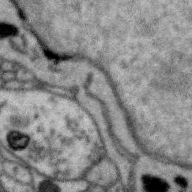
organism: Zebra finch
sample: Brain